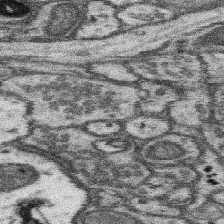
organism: Mouse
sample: Somatosensory cortex neuropil